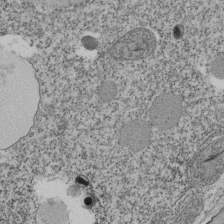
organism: Tetrahymena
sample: Cilia in tetrahymena